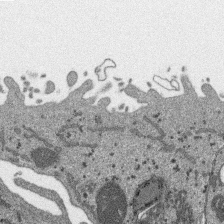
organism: Human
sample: Lung epithelial cells infected with SARS-CoV-2